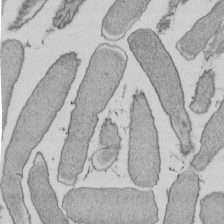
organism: E. coli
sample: Bacterial nucleoid